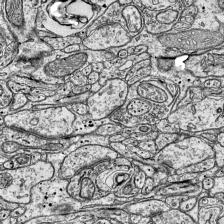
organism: Mouse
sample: Visual Cortex